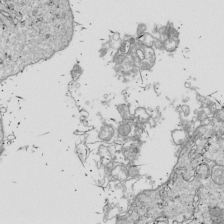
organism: Drosophila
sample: Cell division; meiosis; drosophila spermatocytes